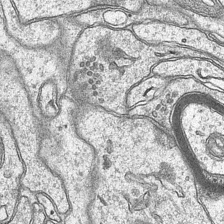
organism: Mouse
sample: CA1 Hippocampus